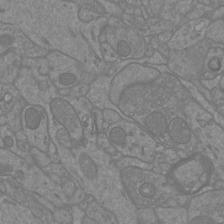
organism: Mouse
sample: Cortical neurons